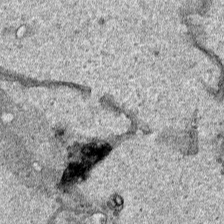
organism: Human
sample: Mitochondria in HCT116 cells